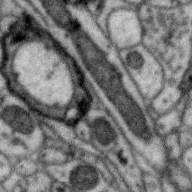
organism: Zebra finch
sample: Brain